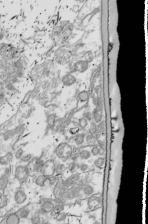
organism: Drosophila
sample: Cell division; meiosis; drosophila spermatocytes